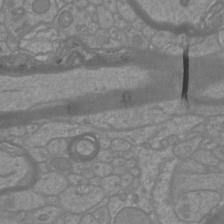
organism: Mouse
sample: Cortical neurons